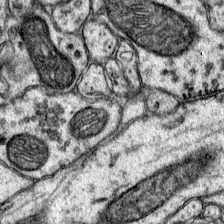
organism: Mouse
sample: Primary visual cortex